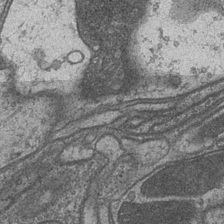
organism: Drosophila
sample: Optic medulla